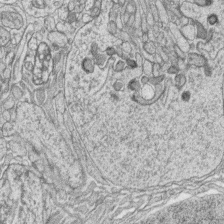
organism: Zebrafish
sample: synaptic ribbons in rod cells and cone cells